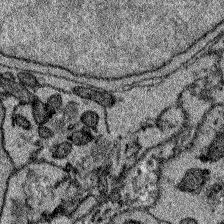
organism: Zebrafish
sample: Larval olfactory bulb